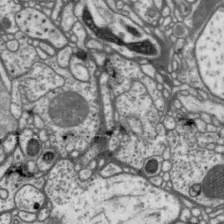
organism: Drosophila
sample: Protocerebral bridge